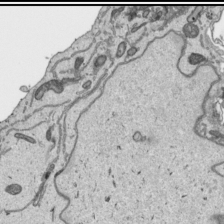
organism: Human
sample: Mitochondria in HCT116 cells